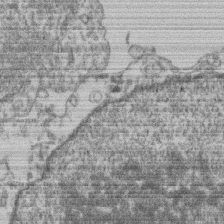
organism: Mouse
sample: T cell stromal cell synapse